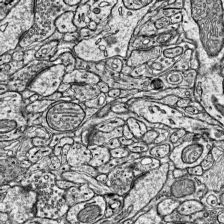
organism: Mouse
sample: Visual Cortex